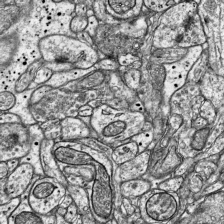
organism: Mouse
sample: Visual Cortex